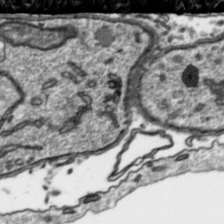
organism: Toxoplasma gondii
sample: Parasites in a vacuole inside a host cell